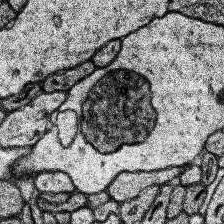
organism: Human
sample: Temporal Lobe